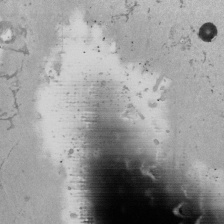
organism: Mouse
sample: ED-1 cell nuclei; centrioles